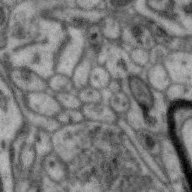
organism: Zebra finch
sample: Brain